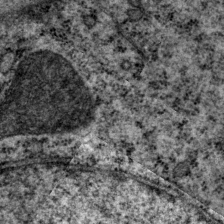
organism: P. pacificus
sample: Pharynx